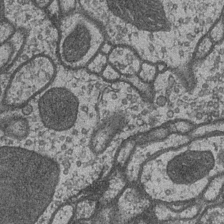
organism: Drosophila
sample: Optic medulla